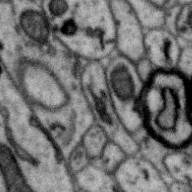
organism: Zebra finch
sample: Brain